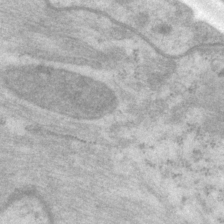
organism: P. pacificus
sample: Pharynx